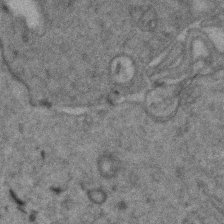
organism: Zebrafish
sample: Zebrafish embryo